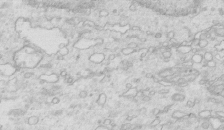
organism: Mouse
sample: Multiciliated cells